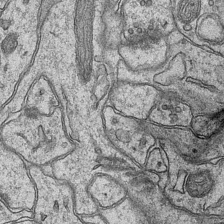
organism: Mouse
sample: CA1 Hippocampus